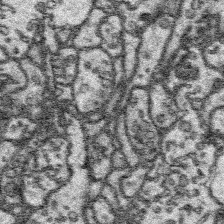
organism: Platynereis dumerilii